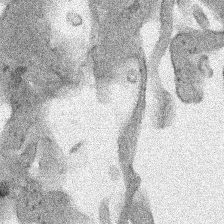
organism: Human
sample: Mitochondria in HCT116 cells